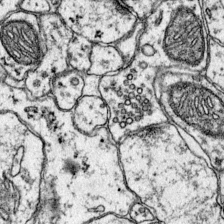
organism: Mouse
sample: Primary visual cortex